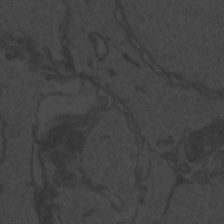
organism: Zebrafish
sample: Macrophage infected with Toxoplasma gondii